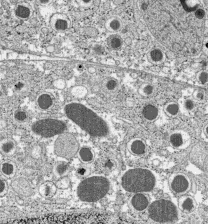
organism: C57BL Mouse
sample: Pancreatic islet